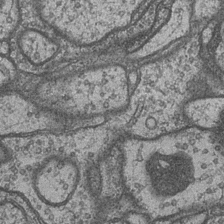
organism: Drosophila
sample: Optic medulla